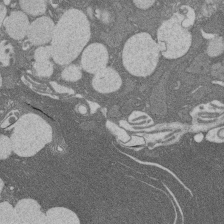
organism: Rat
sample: Salivary granule